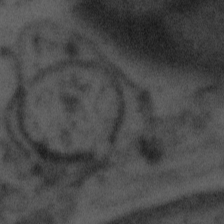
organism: Tuwongella immobilis